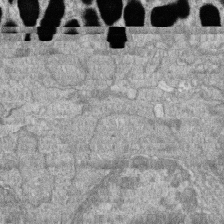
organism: Zebrafish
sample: Cilia; retinal pigment epithelium